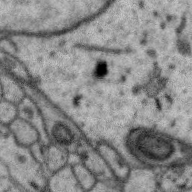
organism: Zebra finch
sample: Brain